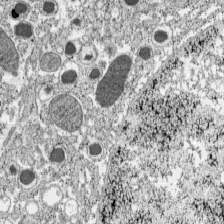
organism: C57BL Mouse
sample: Pancreatic islet